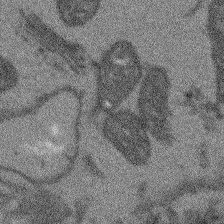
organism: Arabidopsis thaliana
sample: Root tip